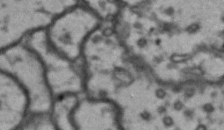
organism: Drosophila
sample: Brain